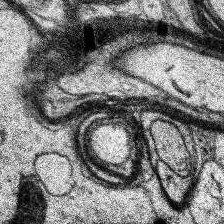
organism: Human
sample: Temporal Lobe